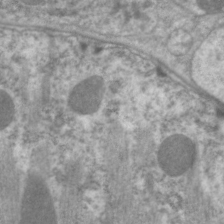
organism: C. elegans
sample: Pharynx